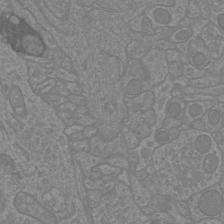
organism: Mouse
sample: Cortical neurons